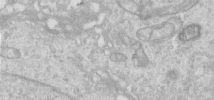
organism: Human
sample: Centriole in RPE cells